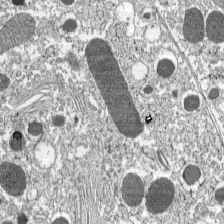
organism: C57BL Mouse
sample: Pancreatic islet